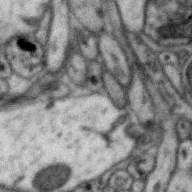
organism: Zebra finch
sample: Brain